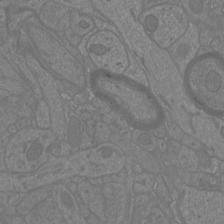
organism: Mouse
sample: Cortical neurons